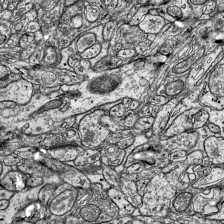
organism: Mouse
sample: Visual Cortex